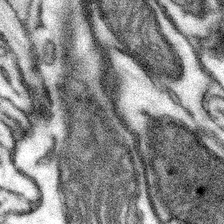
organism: Mouse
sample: Somatosensory cortex neuropil